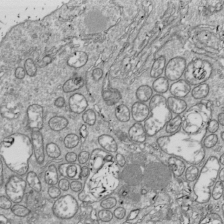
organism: Drosophila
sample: Cell division; meiosis; drosophila spermatocytes